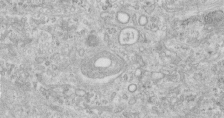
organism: Human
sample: Centriole in fibroblast cells